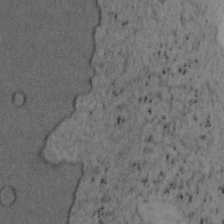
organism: Human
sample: HeLa cells